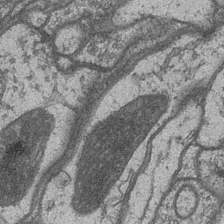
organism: Drosophila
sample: Optic medulla